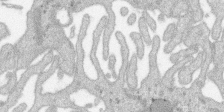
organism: Human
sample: Lung epithelial cells infected with SARS-CoV-2